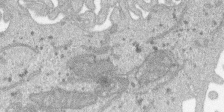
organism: Human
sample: Lung epithelial cells infected with SARS-CoV-2